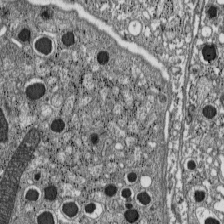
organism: C57BL Mouse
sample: Pancreatic islet